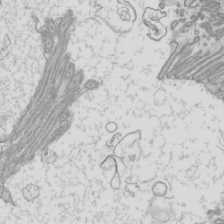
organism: Mouse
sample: Cilia; mouse epididymis